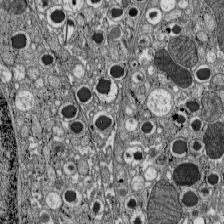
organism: C57BL Mouse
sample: Pancreatic islet